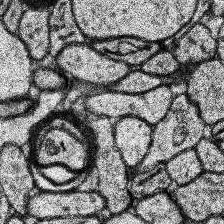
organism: Human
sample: Temporal Lobe